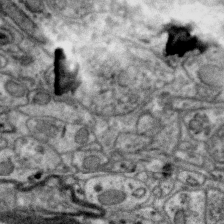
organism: Zebra finch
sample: Brain